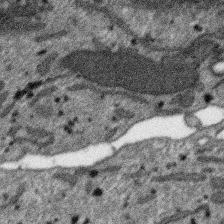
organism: Human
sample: Lung epithelial cells infected with SARS-CoV-2